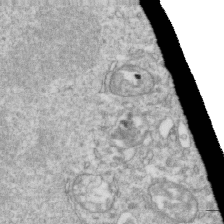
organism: Mouse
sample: Activated OT-1 CD8+ T cells